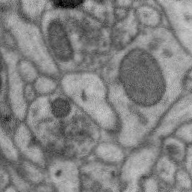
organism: Zebra finch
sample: Brain